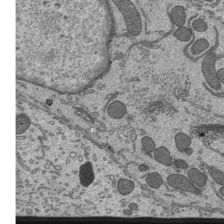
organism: Mouse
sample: Mouse epididymis efferent ductule cilia